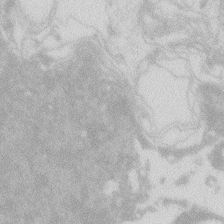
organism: Zebrafish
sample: Macrophage